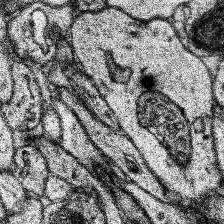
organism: Human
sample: Temporal Lobe